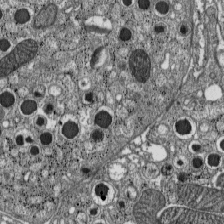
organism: C57BL Mouse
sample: Pancreatic islet